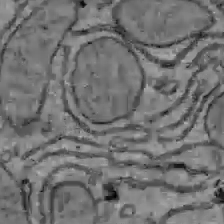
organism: C57BL Mouse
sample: Liver